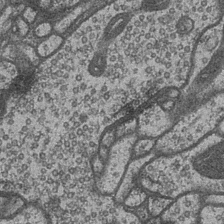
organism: Drosophila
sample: Optic medulla